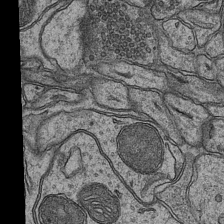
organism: Mouse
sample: CA1 Hippocampus